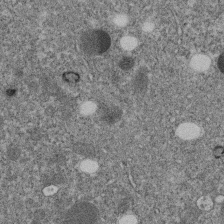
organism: C. elegans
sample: C. elegans embryo early stage